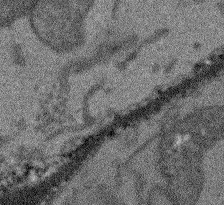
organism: Arabidopsis thaliana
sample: Root tip